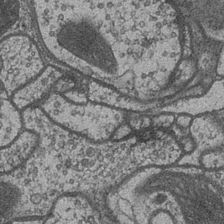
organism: Drosophila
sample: Optic medulla